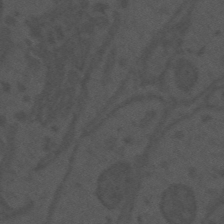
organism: Mouse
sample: Suprachiasmatic nucleus